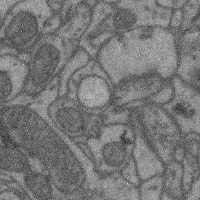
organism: Mouse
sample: Cerebral cortex